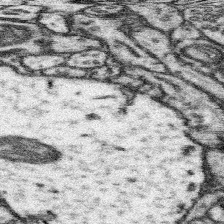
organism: Mouse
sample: Somatosensory cortex neuropil